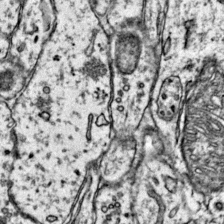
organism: Mouse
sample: Primary visual cortex